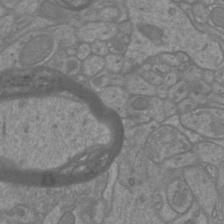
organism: Mouse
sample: Cortical neurons